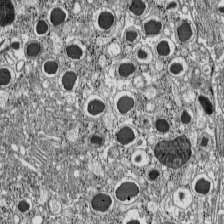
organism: C57BL Mouse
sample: Pancreatic islet